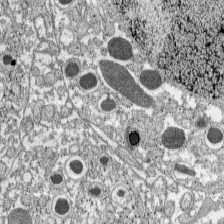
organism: C57BL Mouse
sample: Pancreatic islet